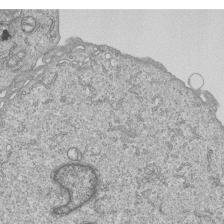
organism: Human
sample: MDA-MB-231 cells